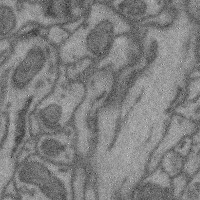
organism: Mouse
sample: Cerebral cortex